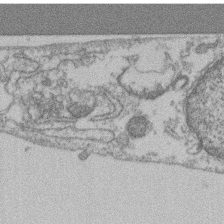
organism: Mouse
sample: T cell stromal cell synapse